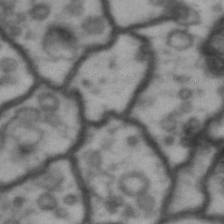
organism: Drosophila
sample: Brain